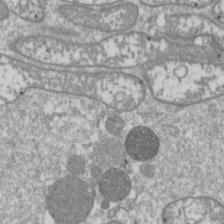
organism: Drosophila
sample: Cell division; meiosis; drosophila spermatocytes